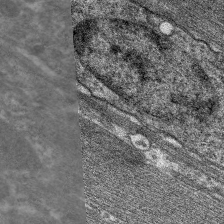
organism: C. elegans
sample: Pharynx